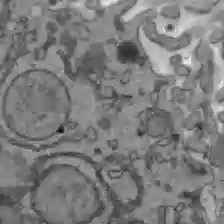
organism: C57BL Mouse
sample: Liver